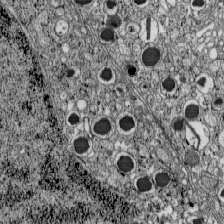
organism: C57BL Mouse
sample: Pancreatic islet